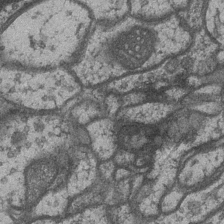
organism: Drosophila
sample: Optic medulla